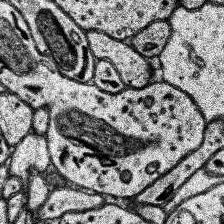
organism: Human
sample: Temporal Lobe